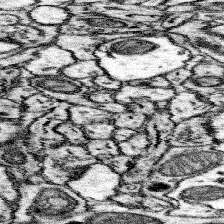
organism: Mouse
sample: Somatosensory cortex neuropil